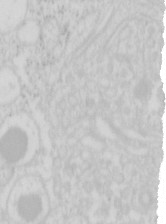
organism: Mouse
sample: Pancreas